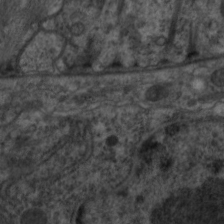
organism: C. elegans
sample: Pharynx